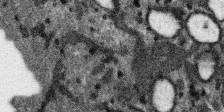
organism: Human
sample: Lung epithelial cells infected with SARS-CoV-2